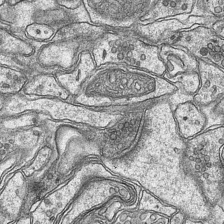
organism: Mouse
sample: CA1 Hippocampus